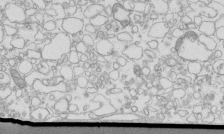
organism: Mouse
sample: Macrophages